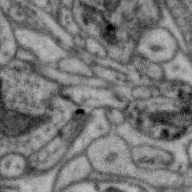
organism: Zebra finch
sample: Brain